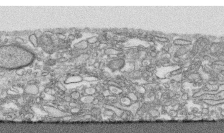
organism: Human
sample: CRL-1474